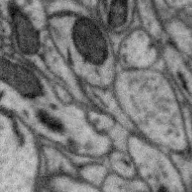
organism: Zebra finch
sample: Brain